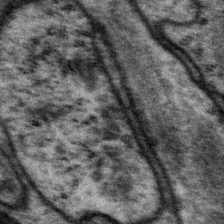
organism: P. pacificus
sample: Pharynx